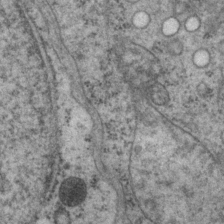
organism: P. pacificus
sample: Pharynx